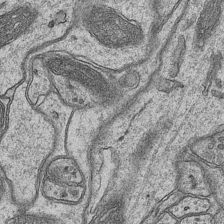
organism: Mouse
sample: CA1 Hippocampus